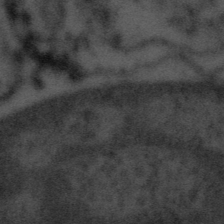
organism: Tuwongella immobilis